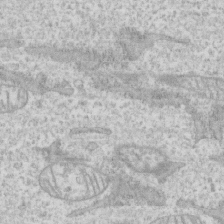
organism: Human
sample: CRL-1474